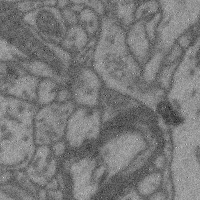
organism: Mouse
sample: Cerebral cortex